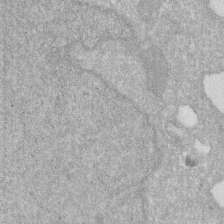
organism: Human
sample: HIV infected U937 cells